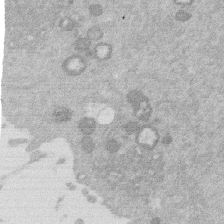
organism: Mouse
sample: Dividing mouse embryo 1 cell stage